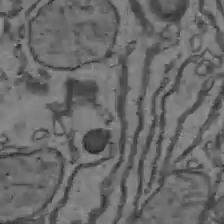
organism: C57BL Mouse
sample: Liver